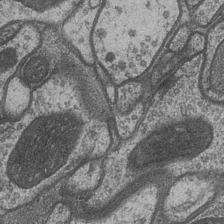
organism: Drosophila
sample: Optic medulla